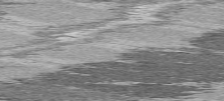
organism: C57BL Mouse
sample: Heart